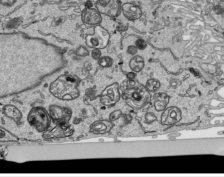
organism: Human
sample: Mitochondria in HCT116 cells